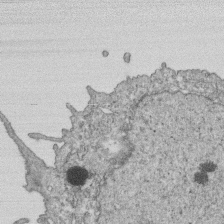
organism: Human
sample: HeLa cell HIV synapse